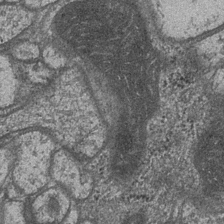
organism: Drosophila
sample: Optic medulla